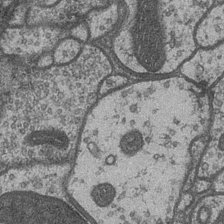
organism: Drosophila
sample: Optic medulla